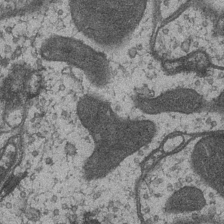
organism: Drosophila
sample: Optic medulla